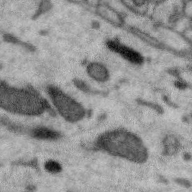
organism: Zebra finch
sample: Brain